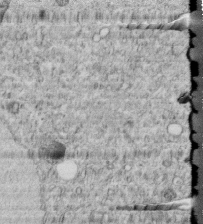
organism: C. elegans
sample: C. elegans embryo early stage